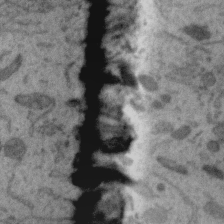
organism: Zebra finch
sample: Brain